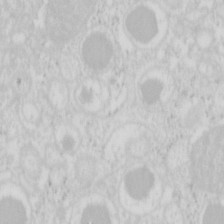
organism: Mouse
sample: Pancreas